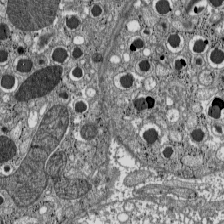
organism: C57BL Mouse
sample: Pancreatic islet